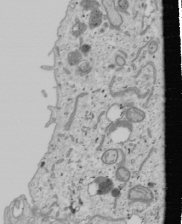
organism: Human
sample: Mitochondria in U2OS cells